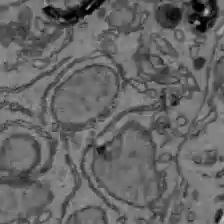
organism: C57BL Mouse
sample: Liver